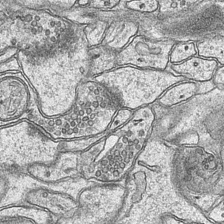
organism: Mouse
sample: CA1 Hippocampus